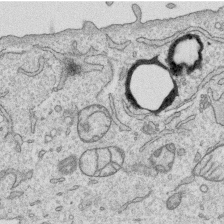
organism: Human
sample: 1205lu cells